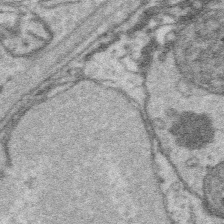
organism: Platynereis dumerilii